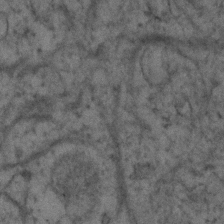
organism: Human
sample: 1205lu cells